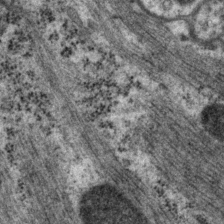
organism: P. pacificus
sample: Pharynx